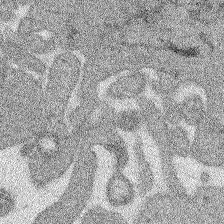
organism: Human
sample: HeLa cells